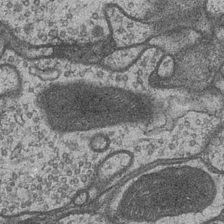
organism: Drosophila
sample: Optic medulla